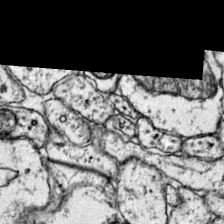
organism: Mouse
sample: Primary visual cortex